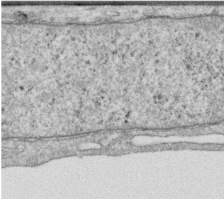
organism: Human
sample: Centriole in RPE cells